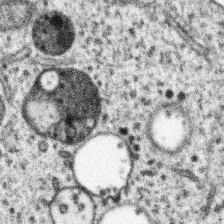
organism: Human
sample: HeLa cells